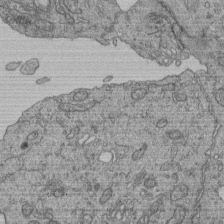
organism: Human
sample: Retinal organoid Rod and Cone cells